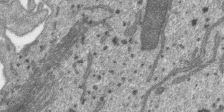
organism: Human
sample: Lung epithelial cells infected with SARS-CoV-2